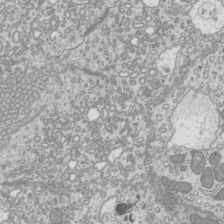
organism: Mouse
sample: Cilia; mouse epididymis